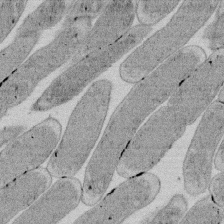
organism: E. coli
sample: Bacterial nucleoid